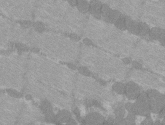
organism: C57BL Mouse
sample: Tibialis anterior muscle cell